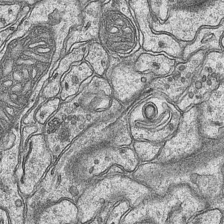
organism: Mouse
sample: CA1 Hippocampus